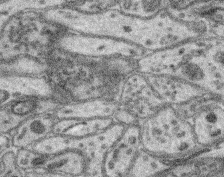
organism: Mouse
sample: Retina